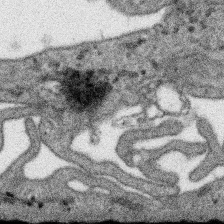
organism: Human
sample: Lung epithelial cells infected with SARS-CoV-2